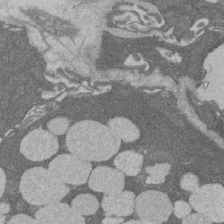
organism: Rat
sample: Salivary granule